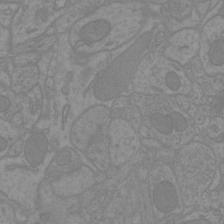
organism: Mouse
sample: Cortical neurons